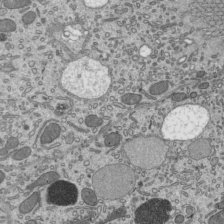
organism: Mouse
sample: Mouse epididymis efferent ductule cilia